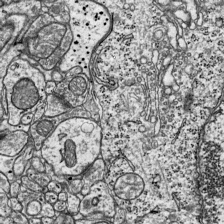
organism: Mouse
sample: Visual Cortex